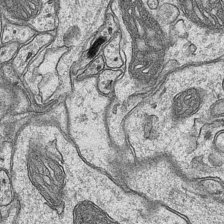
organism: Mouse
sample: CA1 Hippocampus